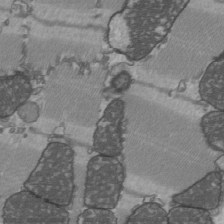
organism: C57BL Mouse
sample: Heart